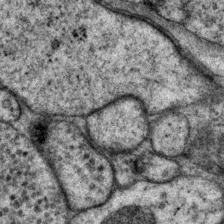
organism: P. pacificus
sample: Pharynx